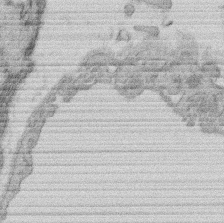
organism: Rat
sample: Salivary granule